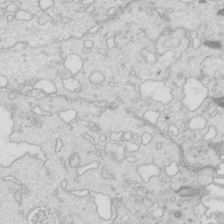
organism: Mouse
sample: Multiciliated cells